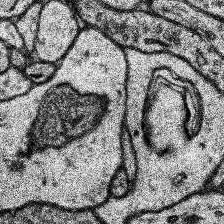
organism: Human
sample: Temporal Lobe